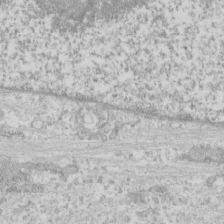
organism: Human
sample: CRL-1474